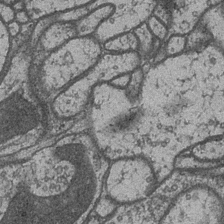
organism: Drosophila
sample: Optic medulla